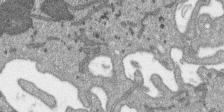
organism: Human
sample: Lung epithelial cells infected with SARS-CoV-2